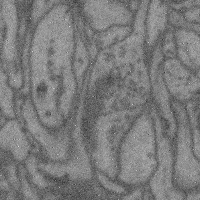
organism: Mouse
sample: Cerebral cortex